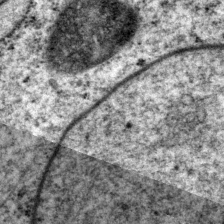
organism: P. pacificus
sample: Pharynx